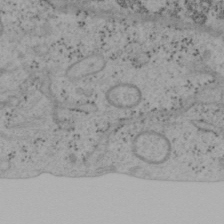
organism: Human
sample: HeLa cells